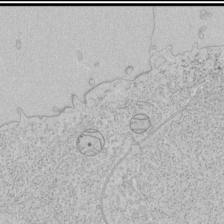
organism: Human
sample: Mitochondria in HCT116 cells